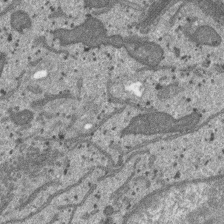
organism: Human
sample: Lung epithelial cells infected with SARS-CoV-2